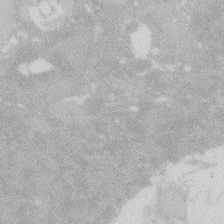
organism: Zebrafish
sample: Macrophage